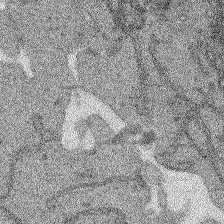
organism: Human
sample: HeLa cells